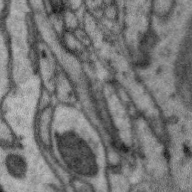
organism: Zebra finch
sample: Brain